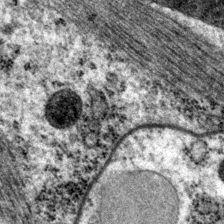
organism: P. pacificus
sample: Pharynx